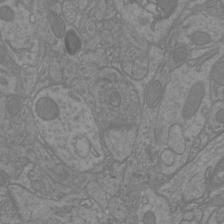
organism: Mouse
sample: Cortical neurons